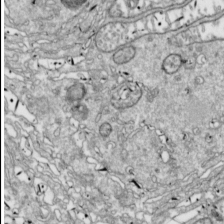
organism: Drosophila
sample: Cell division; meiosis; drosophila spermatocytes